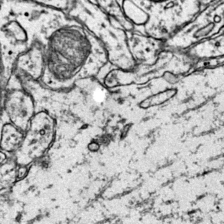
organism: Mouse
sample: Primary visual cortex